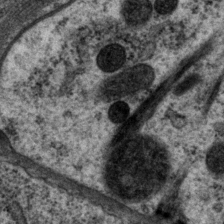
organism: P. pacificus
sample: Pharynx